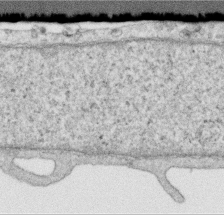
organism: Human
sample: Centriole in RPE cells